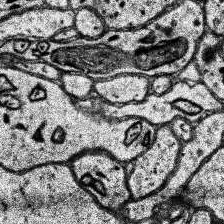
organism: Human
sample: Temporal Lobe